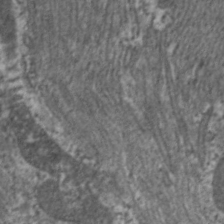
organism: C. elegans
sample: Pharynx